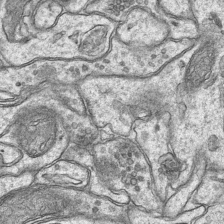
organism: Mouse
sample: CA1 Hippocampus